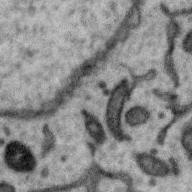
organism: Zebra finch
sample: Brain